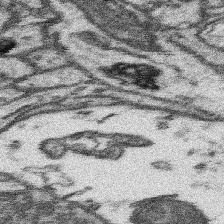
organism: Mouse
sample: Somatosensory cortex neuropil